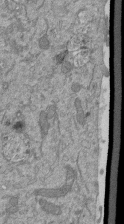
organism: Mouse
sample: ED-1 cell nuclei; centrioles